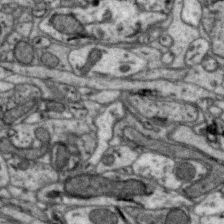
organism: Zebra finch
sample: Brain